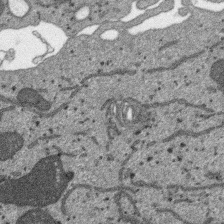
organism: Human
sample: Lung epithelial cells infected with SARS-CoV-2